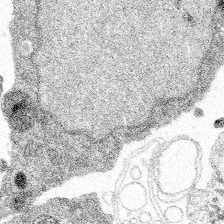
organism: Spongilla lacustris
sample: Multiple